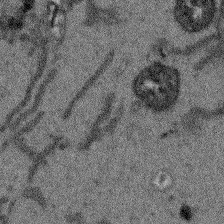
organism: Arabidopsis thaliana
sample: Root tip